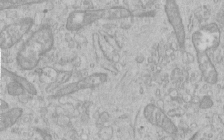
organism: Human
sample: Centriole in RPE cells